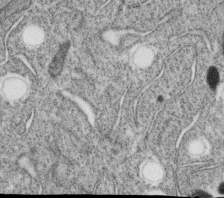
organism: C. elegans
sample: C. elegans oocyte; sperm cells